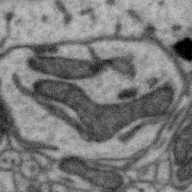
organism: Zebra finch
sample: Brain